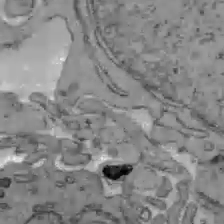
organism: C57BL Mouse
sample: Liver